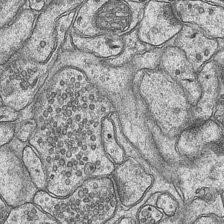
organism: Mouse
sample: CA1 Hippocampus